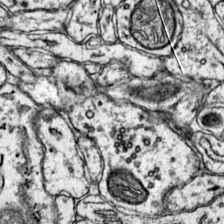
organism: Mouse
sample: Primary visual cortex